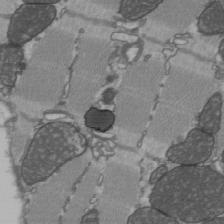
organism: C57BL Mouse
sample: Heart